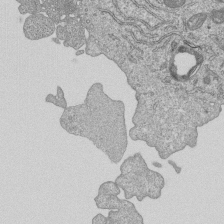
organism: Human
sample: MDA-MB-231 cells